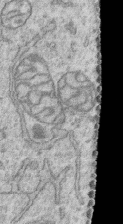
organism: Human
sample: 1205lu cells